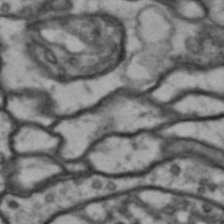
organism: Drosophila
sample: Brain